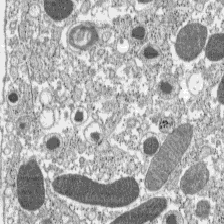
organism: C57BL Mouse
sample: Pancreatic islet